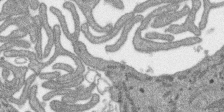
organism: Human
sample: Lung epithelial cells infected with SARS-CoV-2